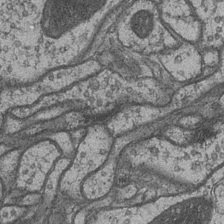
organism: Drosophila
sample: Optic medulla